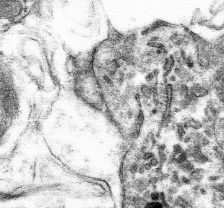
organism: Mouse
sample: Mouse hepatocytes